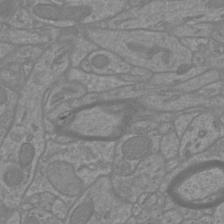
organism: Mouse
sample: Cortical neurons